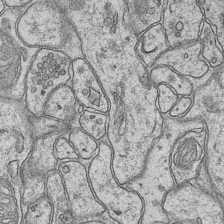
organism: Mouse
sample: CA1 Hippocampus